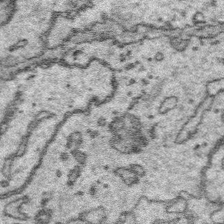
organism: Platynereis dumerilii